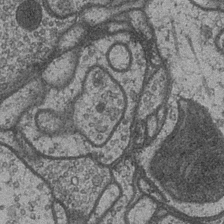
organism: Drosophila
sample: Optic medulla